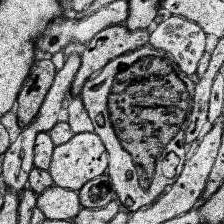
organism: Human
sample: Temporal Lobe